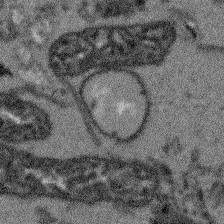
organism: Arabidopsis thaliana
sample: Root tip